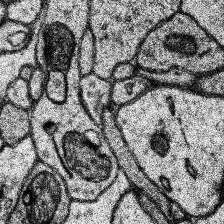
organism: Human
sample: Temporal Lobe